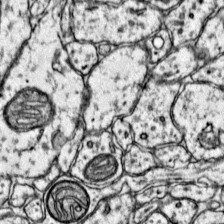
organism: Mouse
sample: Primary visual cortex